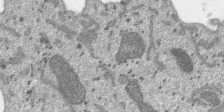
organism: Human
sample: Lung epithelial cells infected with SARS-CoV-2